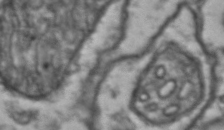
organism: Drosophila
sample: Brain